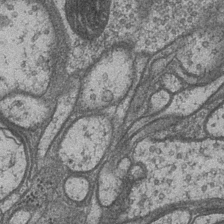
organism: Drosophila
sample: Optic medulla